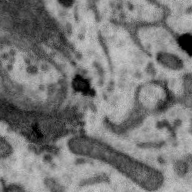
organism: Zebra finch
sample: Brain